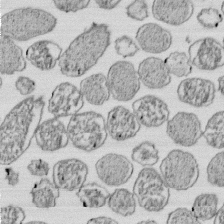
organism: E. coli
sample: Bacterial nucleoid